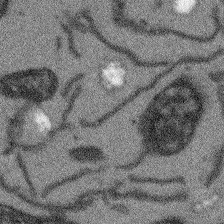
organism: Arabidopsis thaliana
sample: Root tip